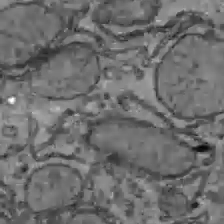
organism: C57BL Mouse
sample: Liver